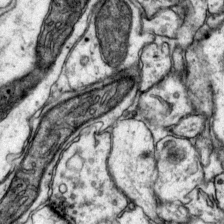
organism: Mouse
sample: Primary visual cortex